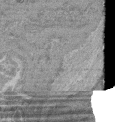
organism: Mouse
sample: Glomerulus